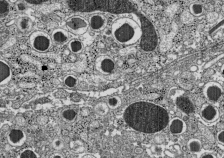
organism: C57BL Mouse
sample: Pancreatic islet